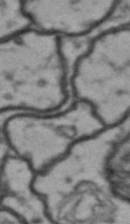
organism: Drosophila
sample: Brain